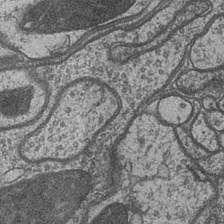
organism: Drosophila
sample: Optic medulla